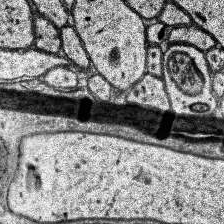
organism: Human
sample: Temporal Lobe